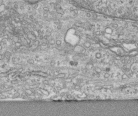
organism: Human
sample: Centriole in RPE cells